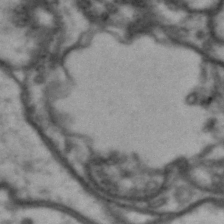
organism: Drosophila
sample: Brain